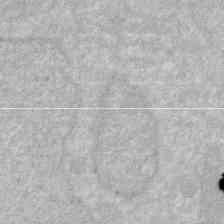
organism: Human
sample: HIV infected U937 cells